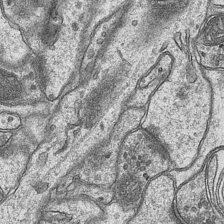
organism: Mouse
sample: CA1 Hippocampus